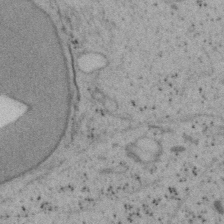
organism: Human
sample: HeLa cells